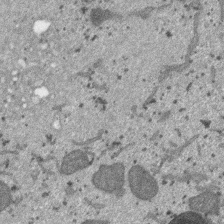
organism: Human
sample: Lung epithelial cells infected with SARS-CoV-2